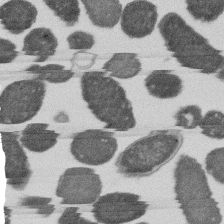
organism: E. coli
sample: Bacterial nucleoid